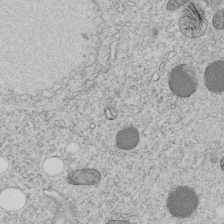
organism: C. elegans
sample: C. elegans embryo early stage